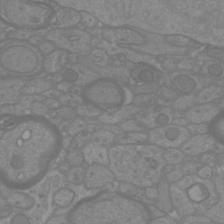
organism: Mouse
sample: Cortical neurons